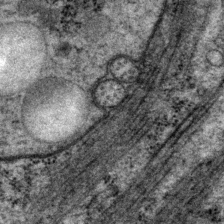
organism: P. pacificus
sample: Pharynx